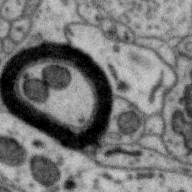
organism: Zebra finch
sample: Brain